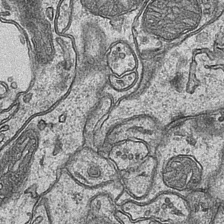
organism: Mouse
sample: CA1 Hippocampus